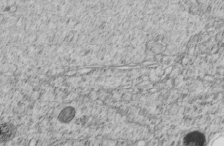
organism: C. elegans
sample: C. elegans embryo early stage